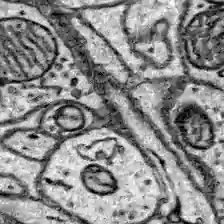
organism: Zebrafish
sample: Brain